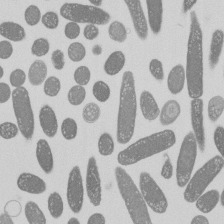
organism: E. coli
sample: Bacterial nucleoid